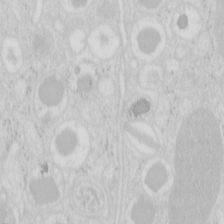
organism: Mouse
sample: Pancreas